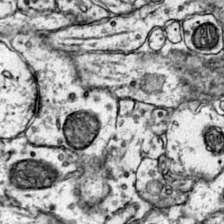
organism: Mouse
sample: Primary visual cortex